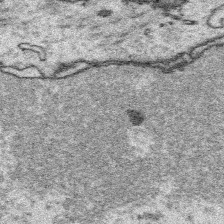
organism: Platynereis dumerilii